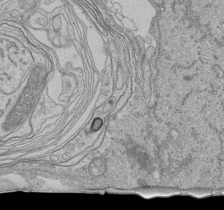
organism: Human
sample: Retinal organoid Rod and Cone cells